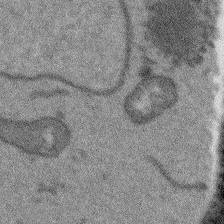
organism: Arabidopsis thaliana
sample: Root tip